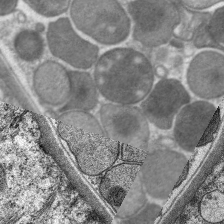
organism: C. elegans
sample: Pharynx